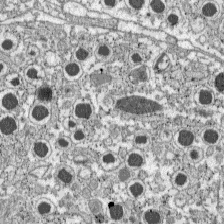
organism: C57BL Mouse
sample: Pancreatic islet